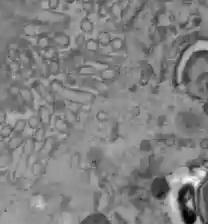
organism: C57BL Mouse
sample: Liver